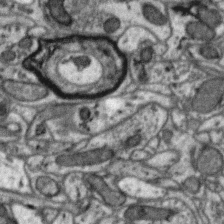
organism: Zebra finch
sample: Brain